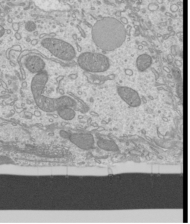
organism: Mouse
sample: Cilia; mouse epididymis